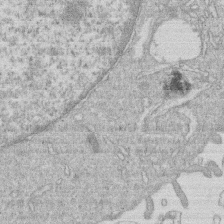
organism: Human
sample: Macrophage cells